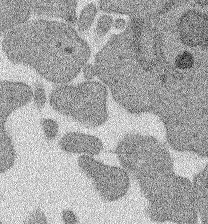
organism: Human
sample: HeLa cells